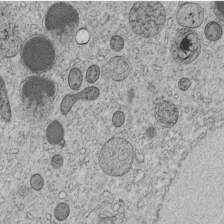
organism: C. elegans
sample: C. elegans embryo early stage